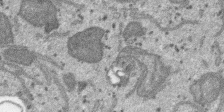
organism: Human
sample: Lung epithelial cells infected with SARS-CoV-2